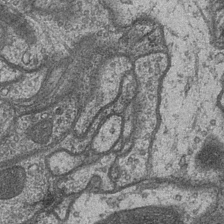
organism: Drosophila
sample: Optic medulla